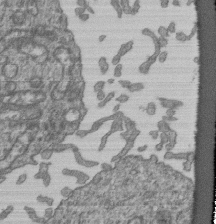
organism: Human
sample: Retinal organoid Rod and Cone cells